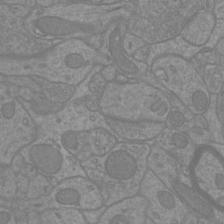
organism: Mouse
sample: Cortical neurons